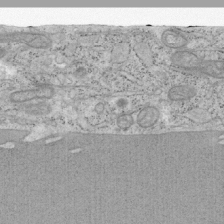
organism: Human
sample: HeLa cells